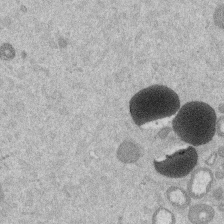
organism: Mouse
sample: Dividing mouse embryo 1 cell stage